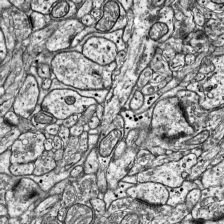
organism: Mouse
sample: Visual Cortex